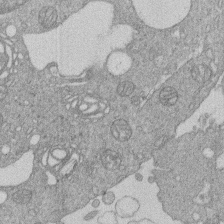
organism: Human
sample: Macrophage cells